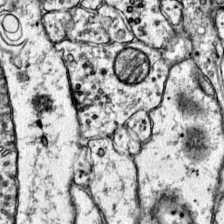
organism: Mouse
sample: Primary visual cortex